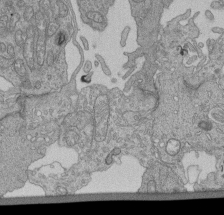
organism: Human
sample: Retinal organoid Rod and Cone cells